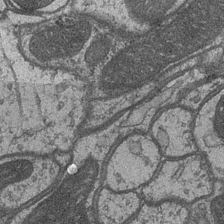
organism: Drosophila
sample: Optic medulla